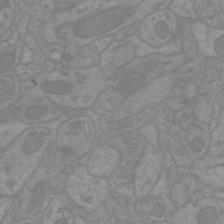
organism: Mouse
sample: Cortical neurons